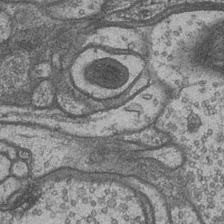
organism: Drosophila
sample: Optic medulla